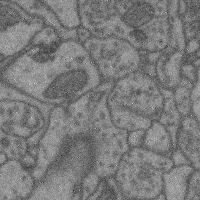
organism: Mouse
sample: Cerebral cortex